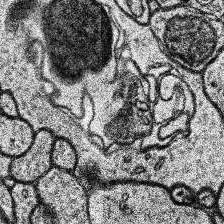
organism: Human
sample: Temporal Lobe